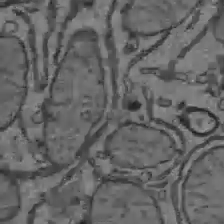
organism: C57BL Mouse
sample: Liver